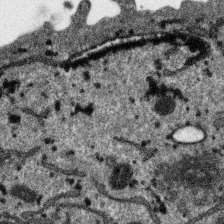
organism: Human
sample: Lung epithelial cells infected with SARS-CoV-2